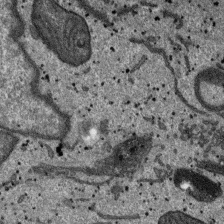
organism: Human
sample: Lung epithelial cells, uninfected (mock) control